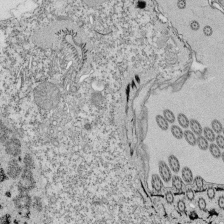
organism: Tetrahymena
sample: Cilia in tetrahymena